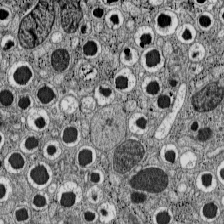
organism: C57BL Mouse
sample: Pancreatic islet